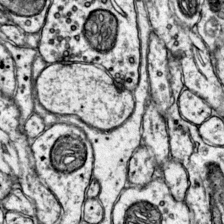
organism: Mouse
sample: Primary visual cortex